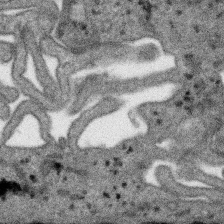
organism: Human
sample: Lung epithelial cells infected with SARS-CoV-2